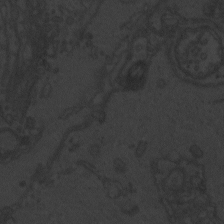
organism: Zebrafish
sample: Macrophage infected with Toxoplasma gondii